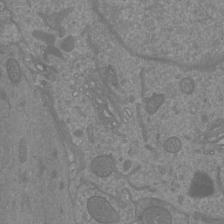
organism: Mouse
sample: Cortical neurons